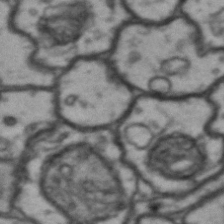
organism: Drosophila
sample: Brain